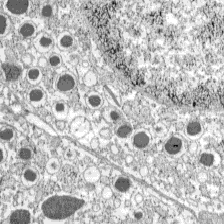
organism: C57BL Mouse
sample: Pancreatic islet